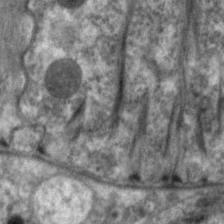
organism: C. elegans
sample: Pharynx